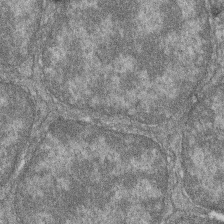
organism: Zebrafish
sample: Cilia; retinal pigment epithelium